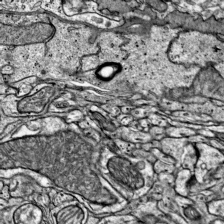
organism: Mouse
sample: Visual Cortex